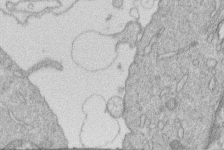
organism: Human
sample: Macrophage cells